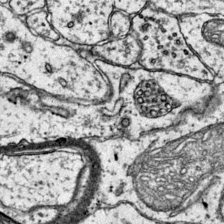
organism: Mouse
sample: Primary visual cortex